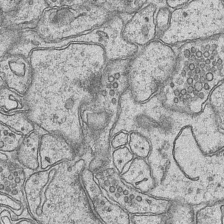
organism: Mouse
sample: CA1 Hippocampus